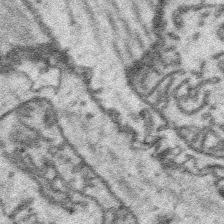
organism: Platynereis dumerilii